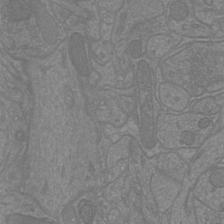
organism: Mouse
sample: Cortical neurons